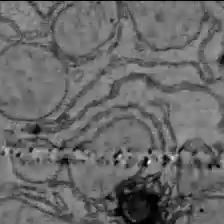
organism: C57BL Mouse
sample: Liver